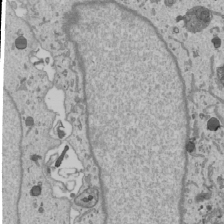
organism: Human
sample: Mitochondria in U2OS cells